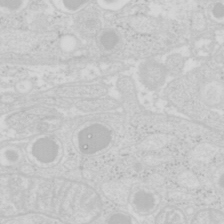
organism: Mouse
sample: Pancreas